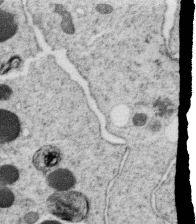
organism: C. elegans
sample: C. elegans oocyte; sperm cells